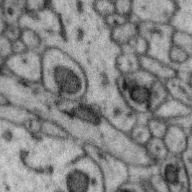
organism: Zebra finch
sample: Brain